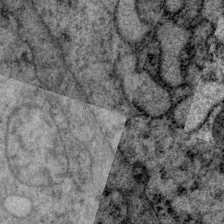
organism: P. pacificus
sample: Pharynx